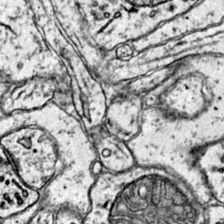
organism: Mouse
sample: Primary visual cortex